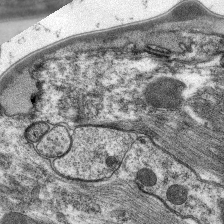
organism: C. elegans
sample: Pharynx